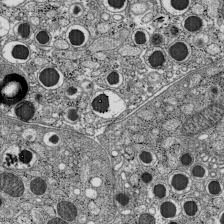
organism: C57BL Mouse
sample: Pancreatic islet